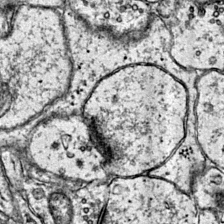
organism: Mouse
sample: Primary visual cortex